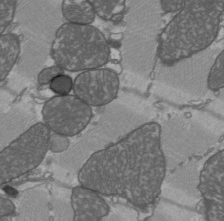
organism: C57BL Mouse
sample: Heart